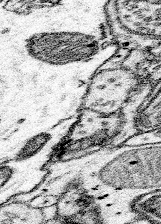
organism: Mouse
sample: Somatosensory cortex neuropil